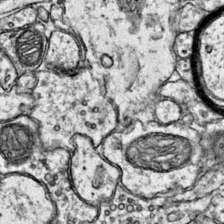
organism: Mouse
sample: Primary visual cortex